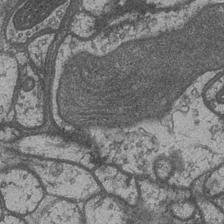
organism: Drosophila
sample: Optic medulla